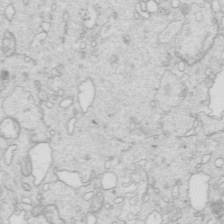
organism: Mouse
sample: Multiciliated cells